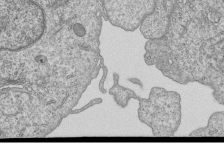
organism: Human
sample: MDA-MB-231 cells